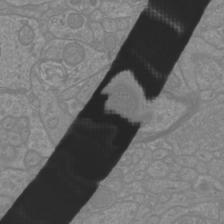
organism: Mouse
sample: Cortical neurons